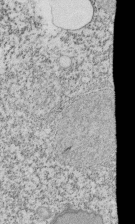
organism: Tetrahymena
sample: Cilia in tetrahymena